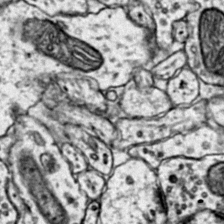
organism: Mouse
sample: Primary visual cortex